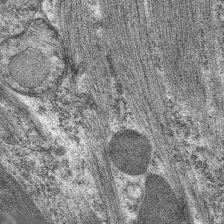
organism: C. elegans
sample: Pharynx